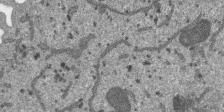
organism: Human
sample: Lung epithelial cells infected with SARS-CoV-2